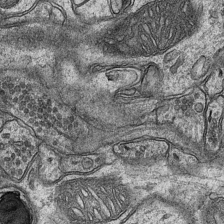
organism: Mouse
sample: CA1 Hippocampus